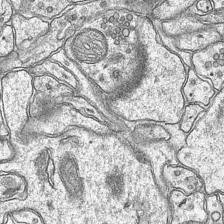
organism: Mouse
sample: CA1 Hippocampus